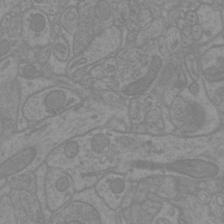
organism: Mouse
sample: Cortical neurons